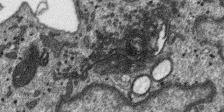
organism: Human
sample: Lung epithelial cells infected with SARS-CoV-2